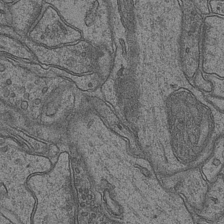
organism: Mouse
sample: CA1 Hippocampus